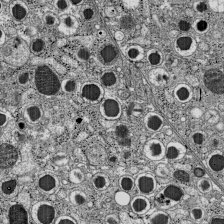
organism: C57BL Mouse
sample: Pancreatic islet